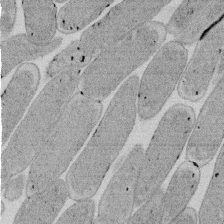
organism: E. coli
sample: Bacterial nucleoid